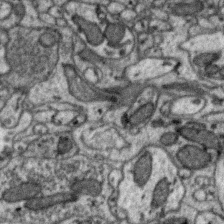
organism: Zebra finch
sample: Brain